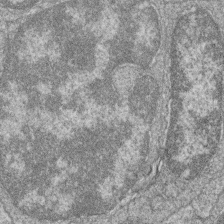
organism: Zebrafish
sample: Cilia; retinal pigment epithelium